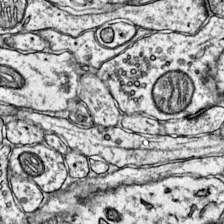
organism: Mouse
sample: Primary visual cortex